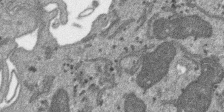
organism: Human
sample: Lung epithelial cells infected with SARS-CoV-2